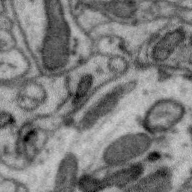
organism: Zebra finch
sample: Brain